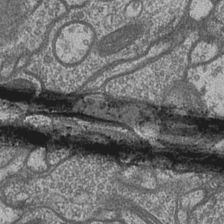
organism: Drosophila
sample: Optic medulla